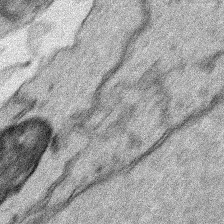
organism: Human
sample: Mitochondria in HCT116 cells